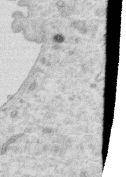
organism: Human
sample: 1205lu cells